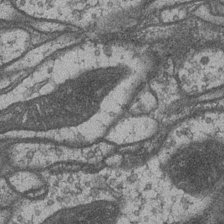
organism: Drosophila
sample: Optic medulla